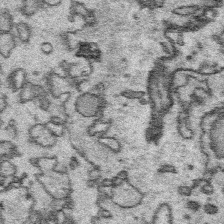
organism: Platynereis dumerilii